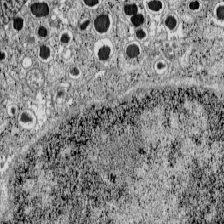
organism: C57BL Mouse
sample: Pancreatic islet